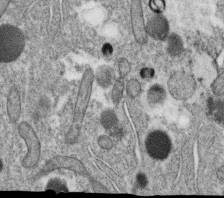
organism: C. elegans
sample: C. elegans oocyte; sperm cells